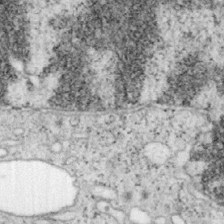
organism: Mouse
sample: OT-I killer T cells with ID8 ovarian cancer cells